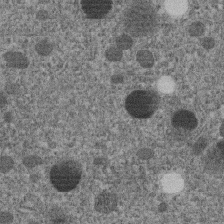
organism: C. elegans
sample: C. elegans embryo early stage